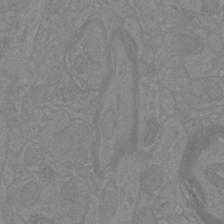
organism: Mouse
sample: Cortical neurons